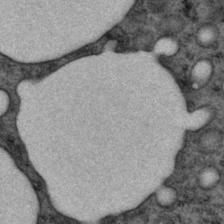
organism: P. pacificus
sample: Pharynx